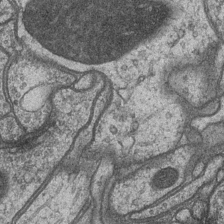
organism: Drosophila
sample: Optic medulla